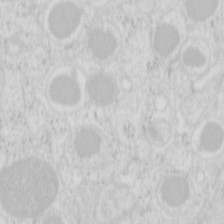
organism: Mouse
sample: Pancreas